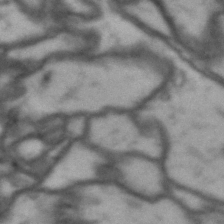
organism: Drosophila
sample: Brain